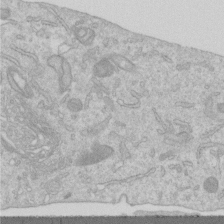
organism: Human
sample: Centriole in RPE cells